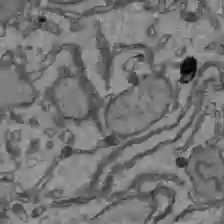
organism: C57BL Mouse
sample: Liver